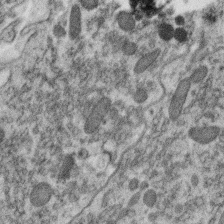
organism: C. elegans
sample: C. elegans oocyte; sperm cells